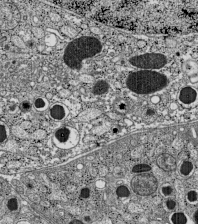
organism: C57BL Mouse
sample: Pancreatic islet